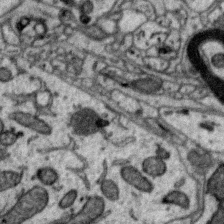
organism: Zebra finch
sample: Brain